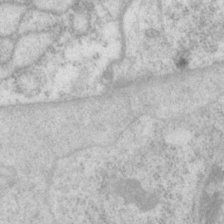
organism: P. pacificus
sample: Pharynx